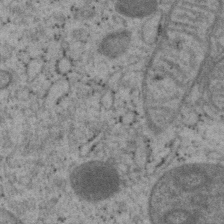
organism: Human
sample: HeLa cells